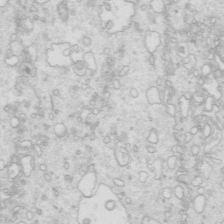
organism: Mouse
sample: Multiciliated cells